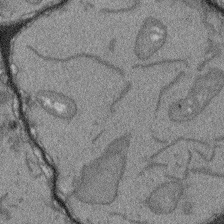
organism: Arabidopsis thaliana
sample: Root tip